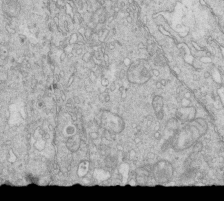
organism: Mouse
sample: Multiciliated cells